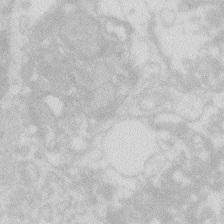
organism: Zebrafish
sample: Macrophage